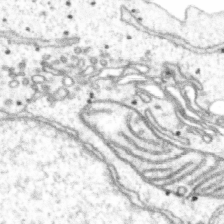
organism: Human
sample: HeLa cells